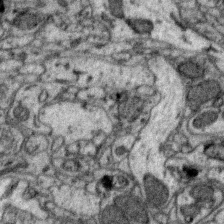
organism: Zebra finch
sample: Brain